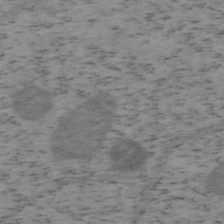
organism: Mouse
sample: OT-I killer T cells with ID8 ovarian cancer cells